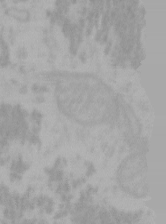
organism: Mouse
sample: Choroid plexus